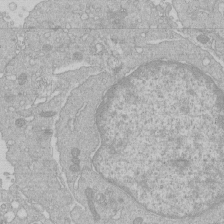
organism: Human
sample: Macrophage cells